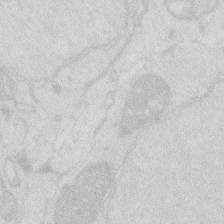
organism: Zebrafish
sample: Macrophage